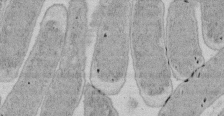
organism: E. coli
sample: Bacterial nucleoid